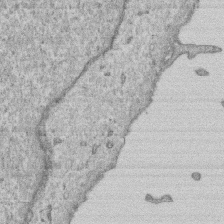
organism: Human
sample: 1205lu cells